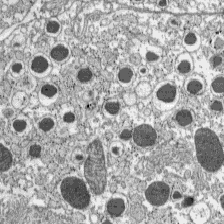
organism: C57BL Mouse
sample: Pancreatic islet